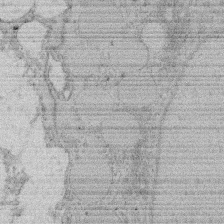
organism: Rat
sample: Salivary granule